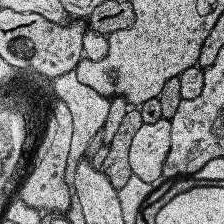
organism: Human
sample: Temporal Lobe